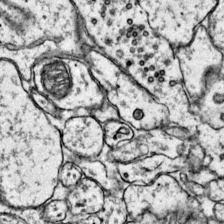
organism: Mouse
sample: Primary visual cortex